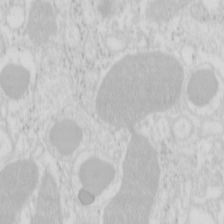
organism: Mouse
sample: Pancreas